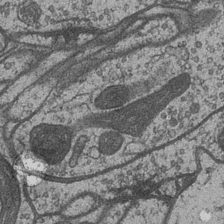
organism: Drosophila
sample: Optic medulla